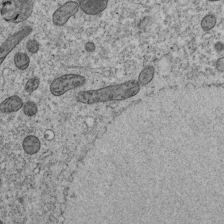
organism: C. elegans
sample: C. elegans embryo early stage